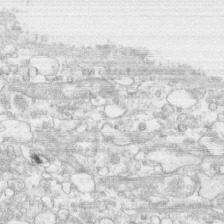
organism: Human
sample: CRL-1474